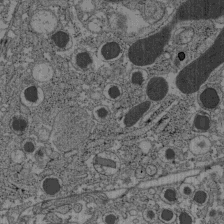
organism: C57BL Mouse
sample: Pancreatic islet